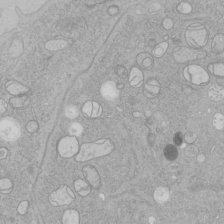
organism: Human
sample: Mitochondria in HCT116 cells